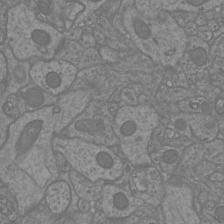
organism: Mouse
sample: Cortical neurons